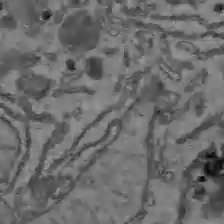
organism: C57BL Mouse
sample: Liver